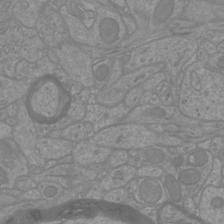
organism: Mouse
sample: Cortical neurons